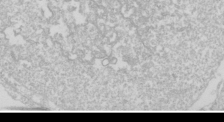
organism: Drosophila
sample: Cell division; meiosis; drosophila spermatocytes